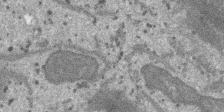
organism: Human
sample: Lung epithelial cells infected with SARS-CoV-2